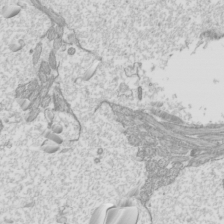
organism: Mouse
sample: Cilia; mouse epididymis